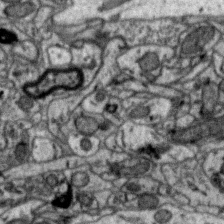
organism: Zebra finch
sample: Brain